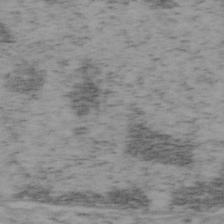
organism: Mouse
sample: OT-I killer T cells with ID8 ovarian cancer cells